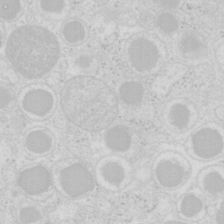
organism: Mouse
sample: Pancreas